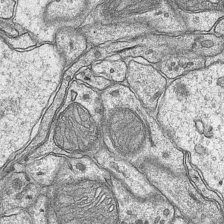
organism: Mouse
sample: CA1 Hippocampus